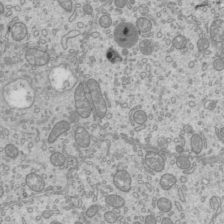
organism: Mouse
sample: Cilia; mouse epididymis